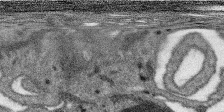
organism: Human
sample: Lung epithelial cells infected with SARS-CoV-2